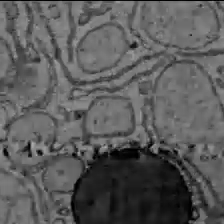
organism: C57BL Mouse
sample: Liver